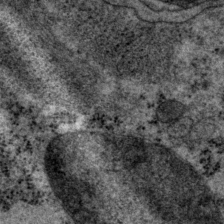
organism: P. pacificus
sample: Pharynx